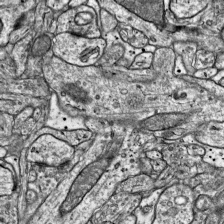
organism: Mouse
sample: Visual Cortex